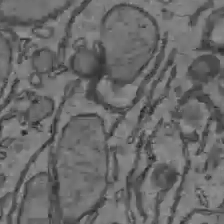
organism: C57BL Mouse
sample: Liver